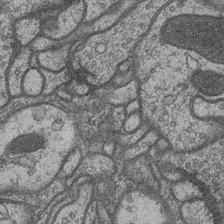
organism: Drosophila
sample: Optic medulla